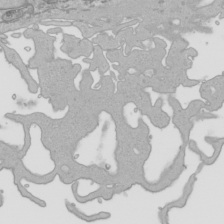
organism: Human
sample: Mitochondria in HCT116 cells